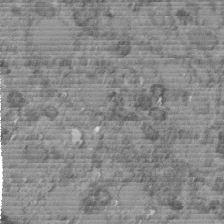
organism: C. elegans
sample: C. elegans embryo early stage